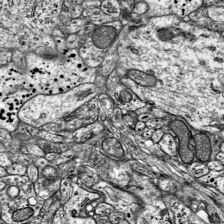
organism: Mouse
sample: Visual Cortex